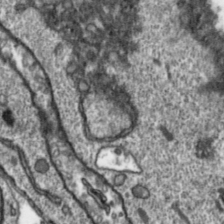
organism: Toxoplasma gondii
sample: Parasites in a vacuole inside a host cell